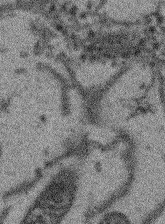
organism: Arabidopsis thaliana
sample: Root tip